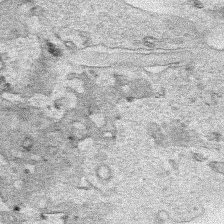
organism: Human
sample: Mitochondria in HCT116 cells